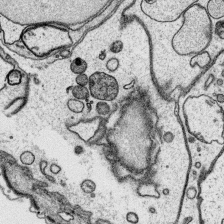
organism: Platynereis dumerilii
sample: Parapodia